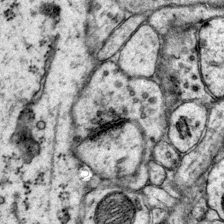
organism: Mouse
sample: Primary visual cortex